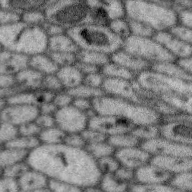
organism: Zebra finch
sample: Brain